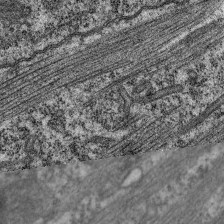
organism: C. elegans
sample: Pharynx